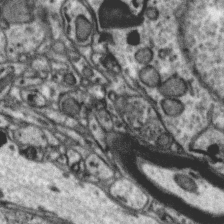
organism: Zebra finch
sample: Brain